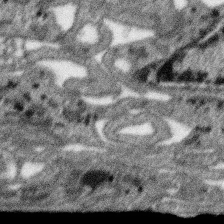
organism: Human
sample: Lung epithelial cells infected with SARS-CoV-2